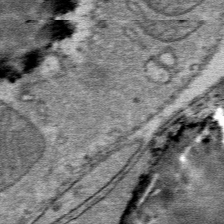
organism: Mouse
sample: Mouse Salivary gland